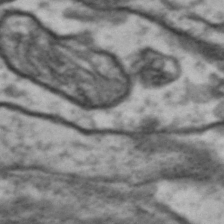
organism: Drosophila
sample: Brain